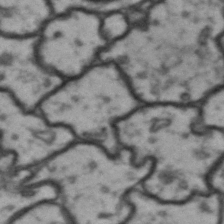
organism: Drosophila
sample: Brain